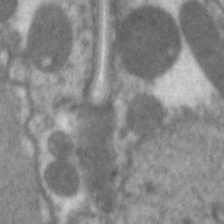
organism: C. elegans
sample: Pharynx